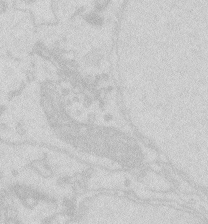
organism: Zebrafish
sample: Macrophage